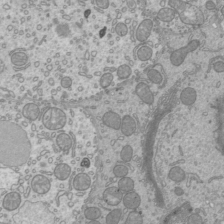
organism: Mouse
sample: Cilia; mouse epididymis